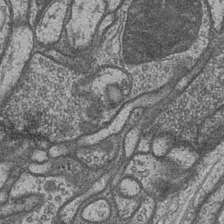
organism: Drosophila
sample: Optic medulla